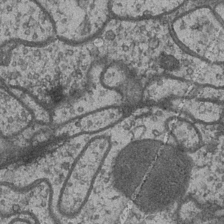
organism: Drosophila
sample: Optic medulla